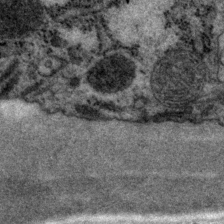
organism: P. pacificus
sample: Pharynx